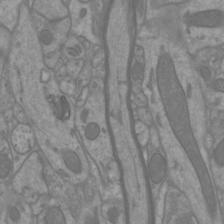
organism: Mouse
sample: Cortical neurons